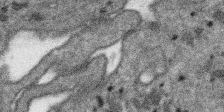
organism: Human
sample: Lung epithelial cells infected with SARS-CoV-2